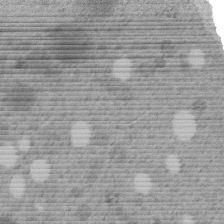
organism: C. elegans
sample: C. elegans embryo early stage